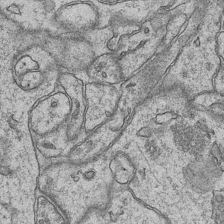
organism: Mouse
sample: CA1 Hippocampus